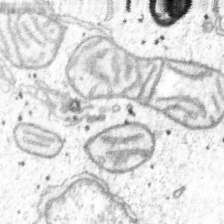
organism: Human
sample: HeLa cells